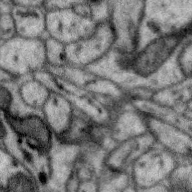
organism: Zebra finch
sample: Brain